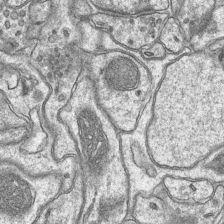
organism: Mouse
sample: CA1 Hippocampus